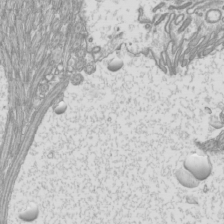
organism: Mouse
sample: Cilia; mouse epididymis